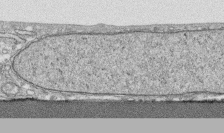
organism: Human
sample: CRL-1474